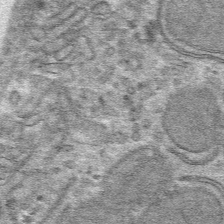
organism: Mouse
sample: Mouse hepatocytes